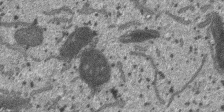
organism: Human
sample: Lung epithelial cells infected with SARS-CoV-2